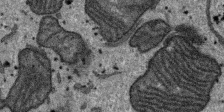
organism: Human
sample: Lung epithelial cells, uninfected (mock) control